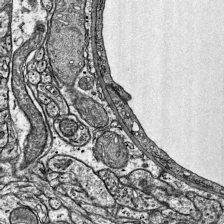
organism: Mouse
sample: Visual Cortex